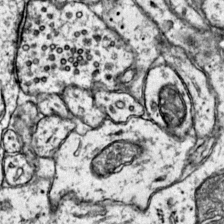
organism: Mouse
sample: Primary visual cortex